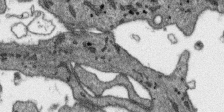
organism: Human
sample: Lung epithelial cells, uninfected (mock) control